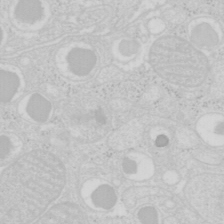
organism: Mouse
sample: Pancreas